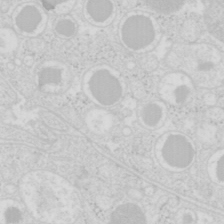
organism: Mouse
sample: Pancreas